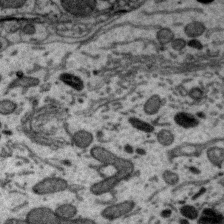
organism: Zebra finch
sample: Brain